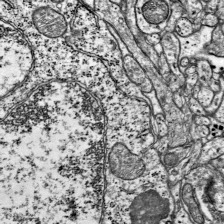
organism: Mouse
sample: Visual Cortex